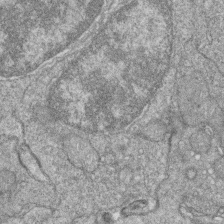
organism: Zebrafish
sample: Cilia; retinal pigment epithelium